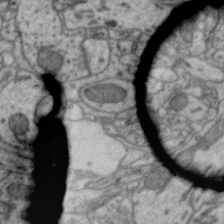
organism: Zebra finch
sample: Brain